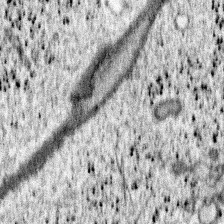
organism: Human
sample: HeLa cells